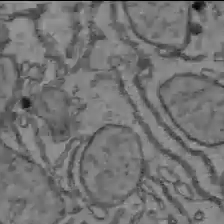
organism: C57BL Mouse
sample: Liver